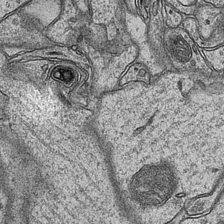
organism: Mouse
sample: CA1 Hippocampus